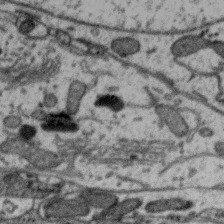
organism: Zebra finch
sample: Brain